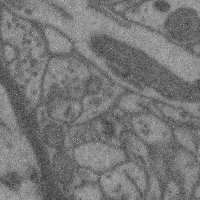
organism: Mouse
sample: Cerebral cortex